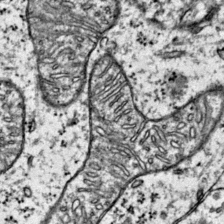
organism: Mouse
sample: Primary visual cortex